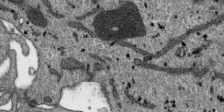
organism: Human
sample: Lung epithelial cells, uninfected (mock) control